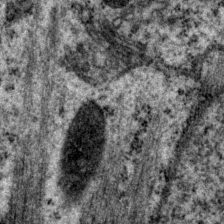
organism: P. pacificus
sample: Pharynx